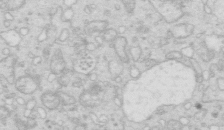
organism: Mouse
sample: Multiciliated cells